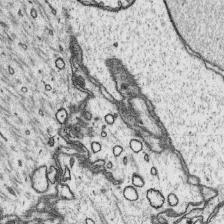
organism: Platynereis dumerilii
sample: Parapodia